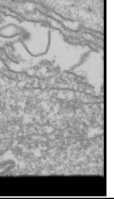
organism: Drosophila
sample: Cell division; meiosis; drosophila spermatocytes